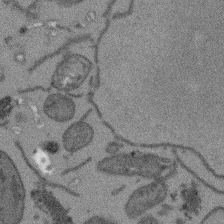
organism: Arabidopsis thaliana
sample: Root tip